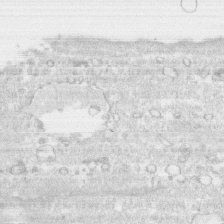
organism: Human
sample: CRL-1474